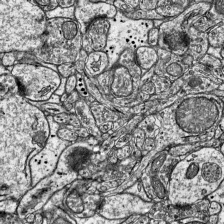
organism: Mouse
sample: Visual Cortex